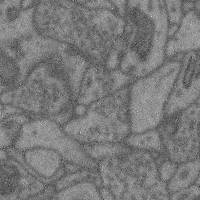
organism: Mouse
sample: Cerebral cortex